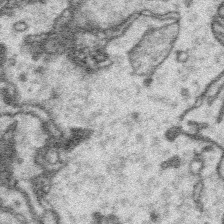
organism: Platynereis dumerilii